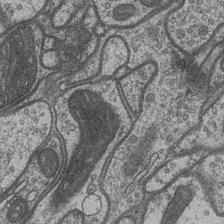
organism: Drosophila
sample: Optic medulla